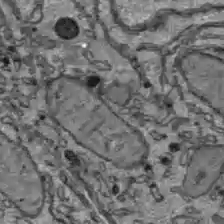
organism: C57BL Mouse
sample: Liver